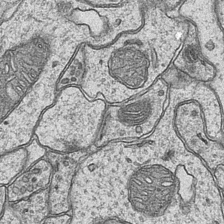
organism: Mouse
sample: CA1 Hippocampus